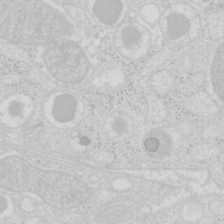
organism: Mouse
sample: Pancreas